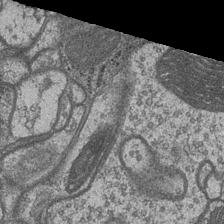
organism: Drosophila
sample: Optic medulla